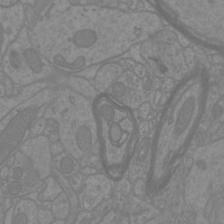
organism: Mouse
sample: Cortical neurons